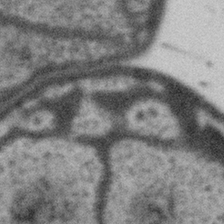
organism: Gemmata obscuriglobus